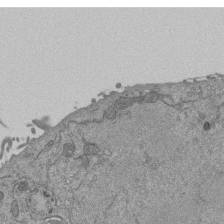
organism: Mouse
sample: ED-1 cell nuclei; centrioles